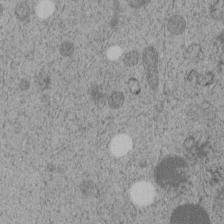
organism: C. elegans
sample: C. elegans embryo early stage